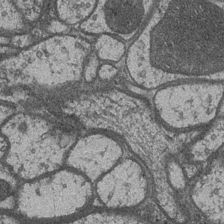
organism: Drosophila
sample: Optic medulla